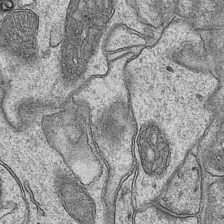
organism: Mouse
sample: CA1 Hippocampus